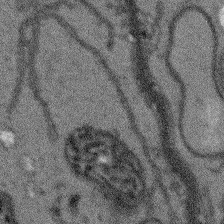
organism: Arabidopsis thaliana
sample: Root tip